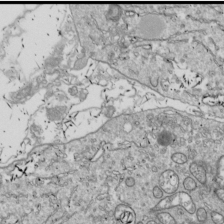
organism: Drosophila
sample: Cell division; meiosis; drosophila spermatocytes